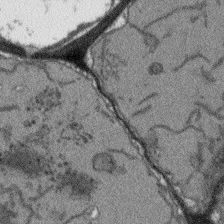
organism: Arabidopsis thaliana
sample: Root tip